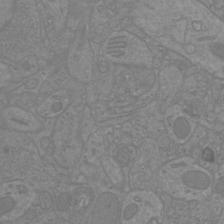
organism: Mouse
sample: Cortical neurons